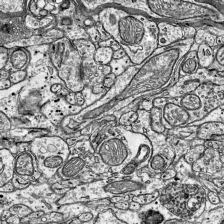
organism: Mouse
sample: Visual Cortex